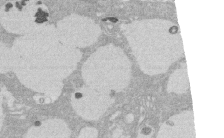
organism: Rat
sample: Salivary granule